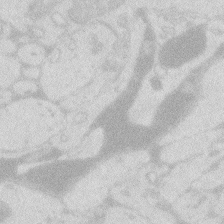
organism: Zebrafish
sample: Macrophage